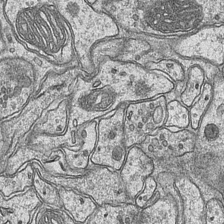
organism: Mouse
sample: CA1 Hippocampus